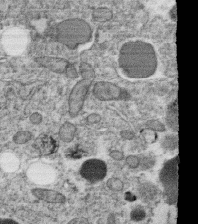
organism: C. elegans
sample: C. elegans oocyte; sperm cells